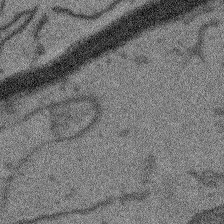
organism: Arabidopsis thaliana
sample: Root tip